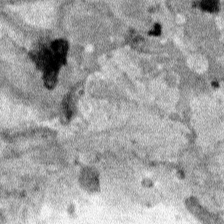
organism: Human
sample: Mitochondria in HCT116 cells